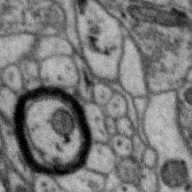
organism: Zebra finch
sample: Brain